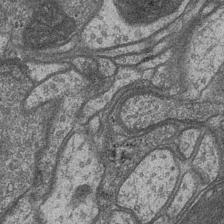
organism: Drosophila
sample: Optic medulla